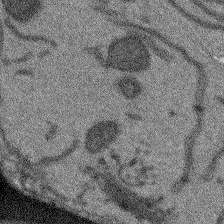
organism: Arabidopsis thaliana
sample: Root tip